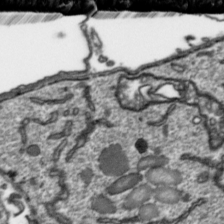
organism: Toxoplasma gondii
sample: Parasites in a vacuole inside a host cell